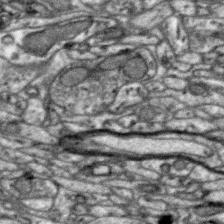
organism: Zebra finch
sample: Brain